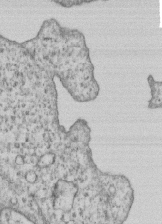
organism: Human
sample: MDA-MB-231 cells